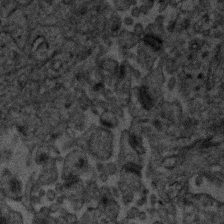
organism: Human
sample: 1205lu cells